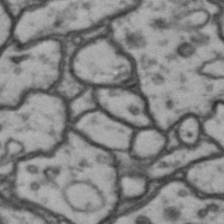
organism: Drosophila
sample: Brain